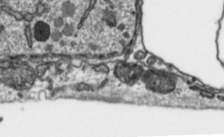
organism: Toxoplasma gondii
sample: Parasites in a vacuole inside a host cell